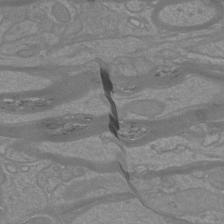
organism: Mouse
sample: Cortical neurons